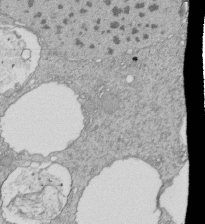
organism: Tetrahymena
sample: Cilia in tetrahymena